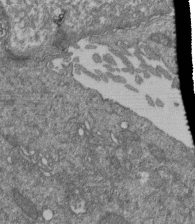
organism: Human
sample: Retinal organoid Rod and Cone cells